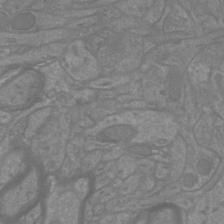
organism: Mouse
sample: Cortical neurons